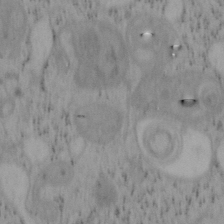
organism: Mouse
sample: OT-I killer T cells with ID8 ovarian cancer cells